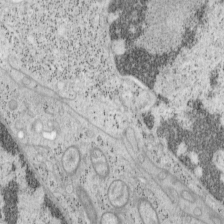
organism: Mouse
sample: OT-I killer T cells with ID8 ovarian cancer cells